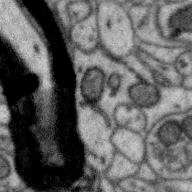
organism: Zebra finch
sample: Brain